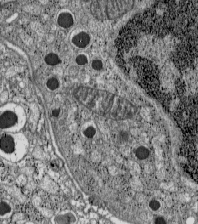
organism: C57BL Mouse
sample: Pancreatic islet